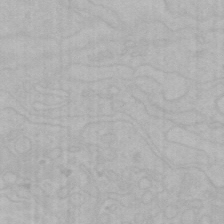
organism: Mouse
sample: Choroid plexus